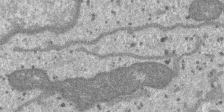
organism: Human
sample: Lung epithelial cells infected with SARS-CoV-2